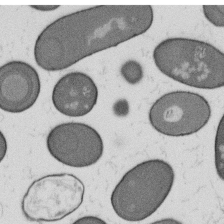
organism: B. subtilis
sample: Bacterial spore